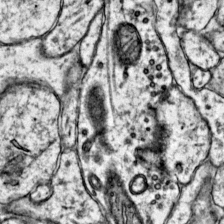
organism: Mouse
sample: Primary visual cortex